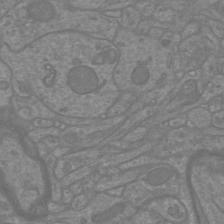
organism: Mouse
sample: Cortical neurons